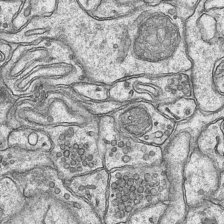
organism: Mouse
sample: CA1 Hippocampus